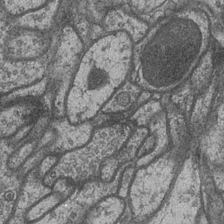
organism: Drosophila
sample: Optic medulla